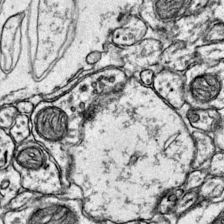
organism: Mouse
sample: Primary visual cortex